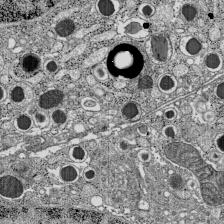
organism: C57BL Mouse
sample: Pancreatic islet